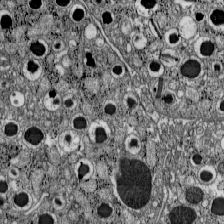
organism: C57BL Mouse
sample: Pancreatic islet